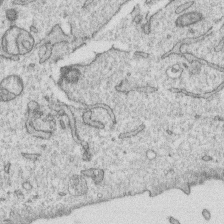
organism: Human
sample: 1205lu cells